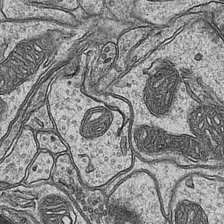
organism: Mouse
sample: CA1 Hippocampus